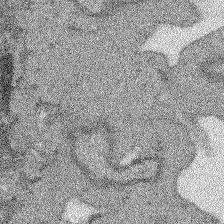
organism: Human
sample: HeLa cells